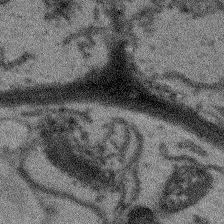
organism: Arabidopsis thaliana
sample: Root tip